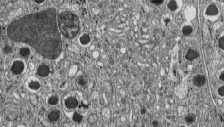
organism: C57BL Mouse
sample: Pancreatic islet